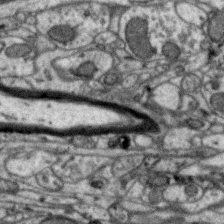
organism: Zebra finch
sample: Brain